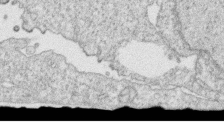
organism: Human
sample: HeLa cell HIV synapse